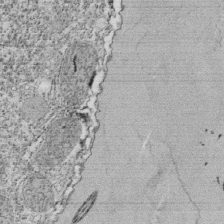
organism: Tetrahymena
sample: Cilia in tetrahymena